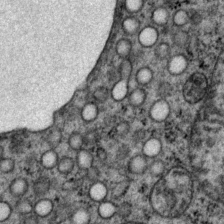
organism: P. pacificus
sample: Pharynx